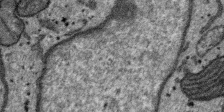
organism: Human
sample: Lung epithelial cells, uninfected (mock) control